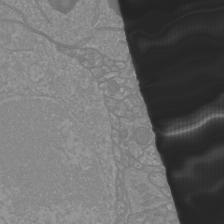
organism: Mouse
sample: Cortical neurons